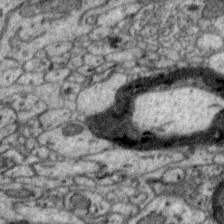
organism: Zebra finch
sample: Brain